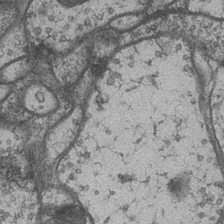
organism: Drosophila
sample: Optic medulla